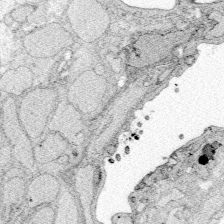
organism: Zebrafish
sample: Whole-Brain